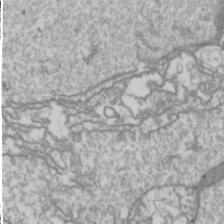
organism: Drosophila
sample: Cell division; meiosis; drosophila spermatocytes